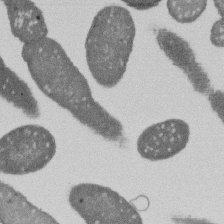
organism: E. coli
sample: Bacterial nucleoid